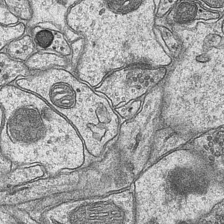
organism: Mouse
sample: CA1 Hippocampus